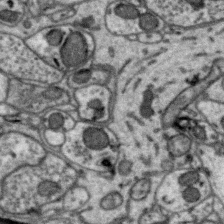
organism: Zebra finch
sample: Brain